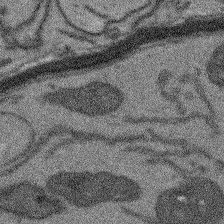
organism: Arabidopsis thaliana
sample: Root tip